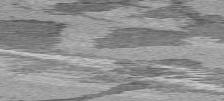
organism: C57BL Mouse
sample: Heart